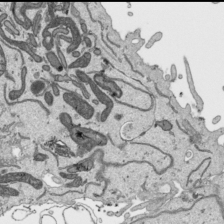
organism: Human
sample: Mitochondria in HCT116 cells